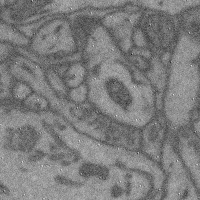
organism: Mouse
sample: Cerebral cortex